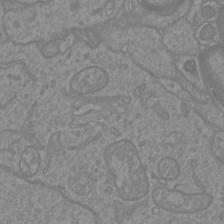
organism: Mouse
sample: Cortical neurons